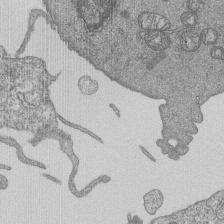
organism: Human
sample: MDA-MB-231 cells